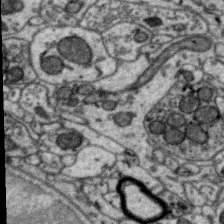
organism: Zebra finch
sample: Brain